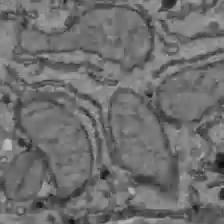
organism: C57BL Mouse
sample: Liver